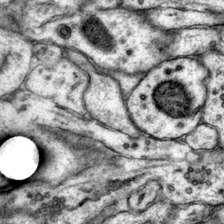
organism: Mouse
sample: Primary visual cortex